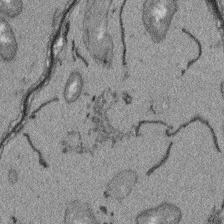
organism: Arabidopsis thaliana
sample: Root tip